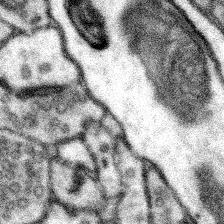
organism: Mouse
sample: Somatosensory cortex neuropil